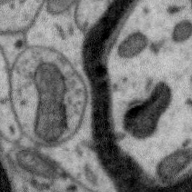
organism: Zebra finch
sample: Brain